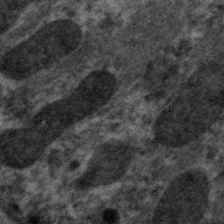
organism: C. elegans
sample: Pharynx